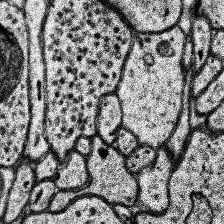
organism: Human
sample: Temporal Lobe